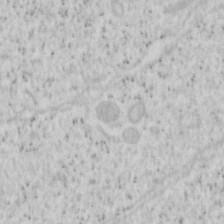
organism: Human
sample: HeLa cells